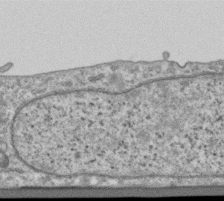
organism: Human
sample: Centriole in RPE cells